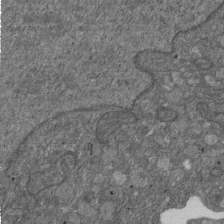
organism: Drosophila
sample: Nephrocyte